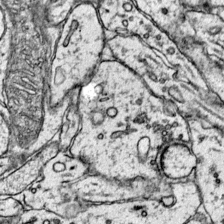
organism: Mouse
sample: Primary visual cortex